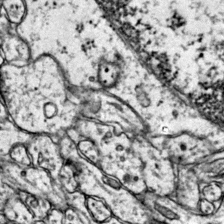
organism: Mouse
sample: Primary visual cortex